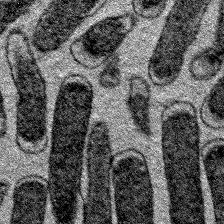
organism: E. coli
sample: E. Coli Bacteria